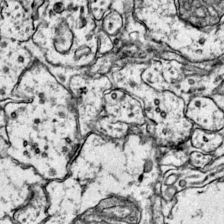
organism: Mouse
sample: Primary visual cortex